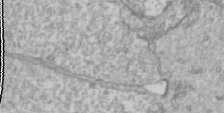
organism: Drosophila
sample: Cell division; meiosis; drosophila spermatocytes